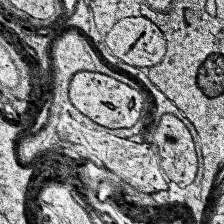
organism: Human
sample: Temporal Lobe